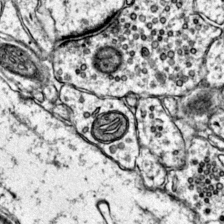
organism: Mouse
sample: Primary visual cortex